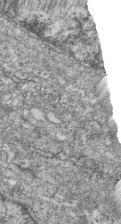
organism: Zebrafish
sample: Cilia; retinal pigment epithelium